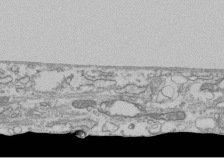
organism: Human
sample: Fibroblast cells